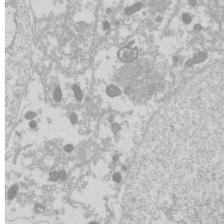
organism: Drosophila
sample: Cell division; meiosis; drosophila spermatocytes